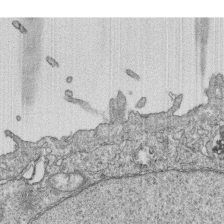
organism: Human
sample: HeLa cell HIV synapse